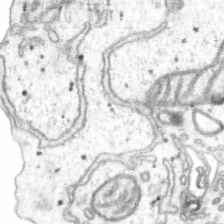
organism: Human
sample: HeLa cells